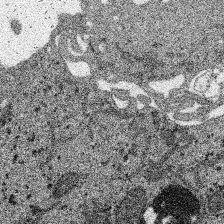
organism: Human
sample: Lung epithelial cells infected with SARS-CoV-2